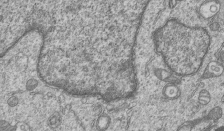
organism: Human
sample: MDA-MB-231 cells